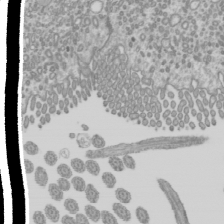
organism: Mouse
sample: Cilia; mouse epididymis